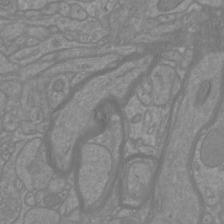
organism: Mouse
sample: Cortical neurons